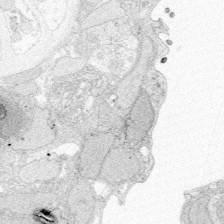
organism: Zebrafish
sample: Whole-Brain